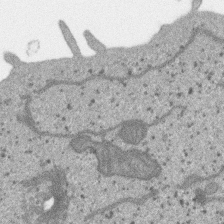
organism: Human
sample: Lung epithelial cells infected with SARS-CoV-2